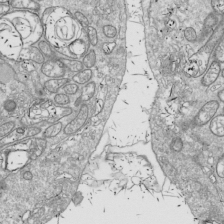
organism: Drosophila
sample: Cell division; meiosis; drosophila spermatocytes